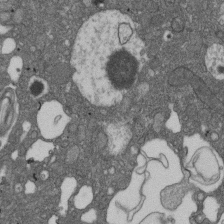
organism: Drosophila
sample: Nephrocyte